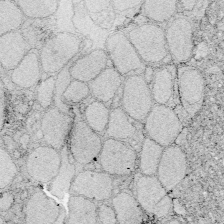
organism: Zebrafish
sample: Whole-Brain